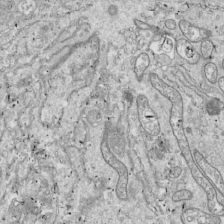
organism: Drosophila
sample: Cell division; meiosis; drosophila spermatocytes